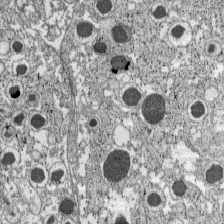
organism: C57BL Mouse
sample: Pancreatic islet